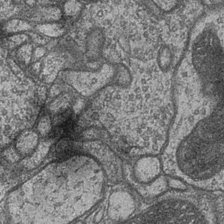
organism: Drosophila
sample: Optic medulla